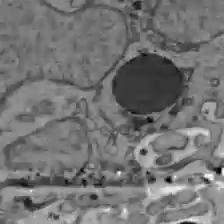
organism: C57BL Mouse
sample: Liver